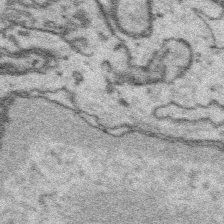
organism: Platynereis dumerilii